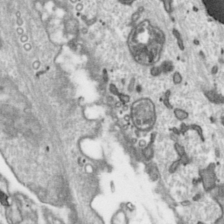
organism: Toxoplasma gondii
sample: Parasites in a vacuole inside a host cell